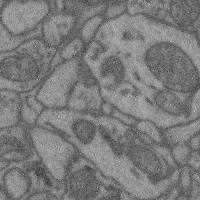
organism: Mouse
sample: Cerebral cortex